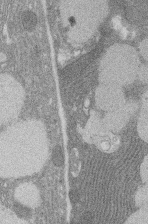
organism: Rat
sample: Salivary granule